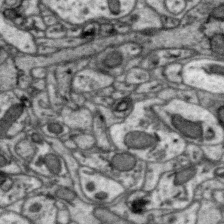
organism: Zebra finch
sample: Brain